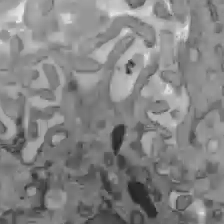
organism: C57BL Mouse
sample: Liver